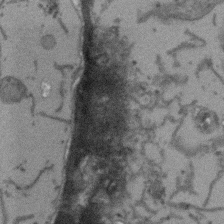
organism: Arabidopsis thaliana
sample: Root tip